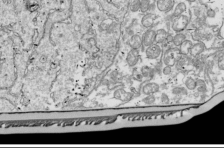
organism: Drosophila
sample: Cell division; meiosis; drosophila spermatocytes